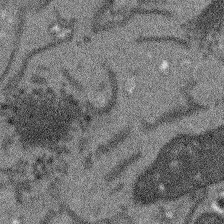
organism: Arabidopsis thaliana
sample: Root tip